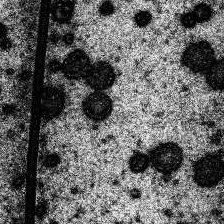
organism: Human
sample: Temporal Lobe